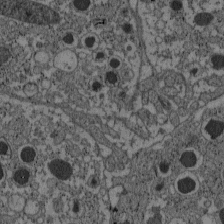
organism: C57BL Mouse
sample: Pancreatic islet